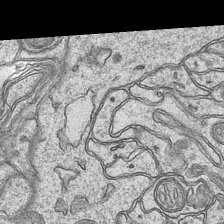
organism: Mouse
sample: CA1 Hippocampus